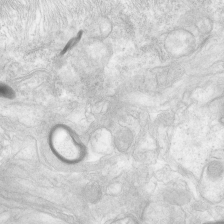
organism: Human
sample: Neocortex